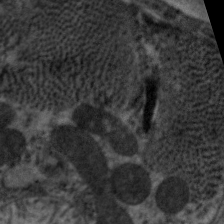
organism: C. elegans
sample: Pharynx